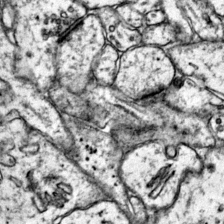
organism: Mouse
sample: Primary visual cortex